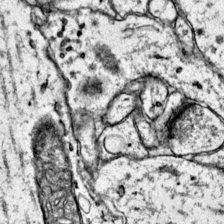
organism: Mouse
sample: Primary visual cortex